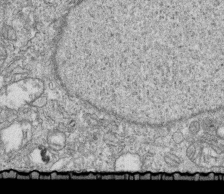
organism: Human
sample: HeLa cell HIV synapse